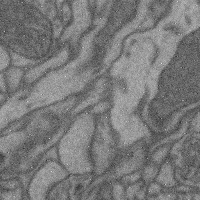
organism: Mouse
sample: Cerebral cortex